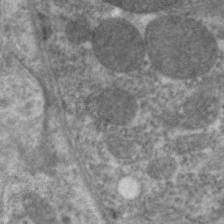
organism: C. elegans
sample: Pharynx